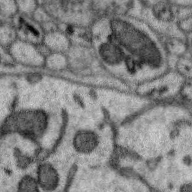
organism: Zebra finch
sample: Brain